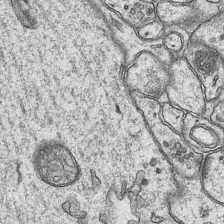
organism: Mouse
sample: CA1 Hippocampus